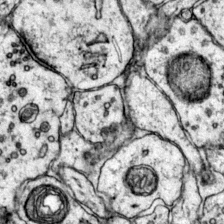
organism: Mouse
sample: Primary visual cortex